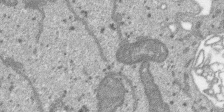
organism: Human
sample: Lung epithelial cells infected with SARS-CoV-2